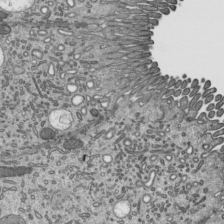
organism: Mouse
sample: Mouse epididymis efferent ductule cilia